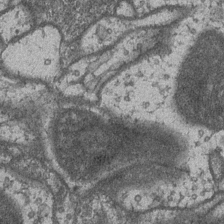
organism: Drosophila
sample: Optic medulla